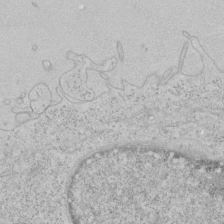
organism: Human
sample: Mitochondria in HCT116 cells